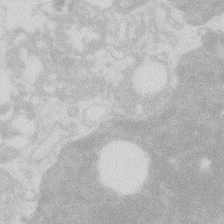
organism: Zebrafish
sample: Macrophage